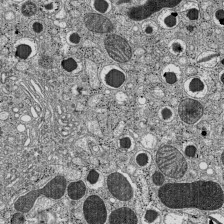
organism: C57BL Mouse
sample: Pancreatic islet